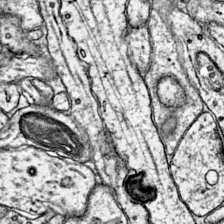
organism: Mouse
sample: Primary visual cortex